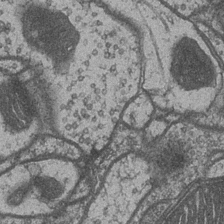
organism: Drosophila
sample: Optic medulla